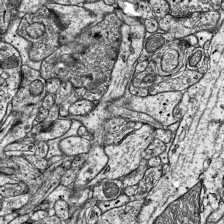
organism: Mouse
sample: Visual Cortex